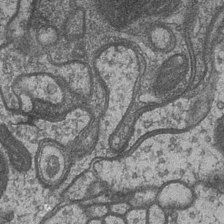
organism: Drosophila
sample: Optic medulla